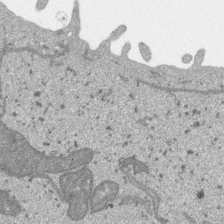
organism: Human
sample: Lung epithelial cells infected with SARS-CoV-2